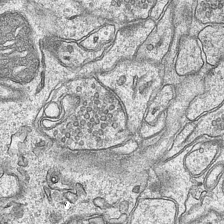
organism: Mouse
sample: CA1 Hippocampus